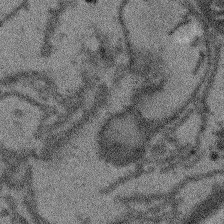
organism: Arabidopsis thaliana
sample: Root tip